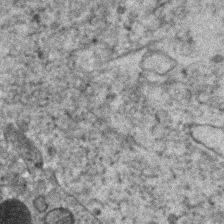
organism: Human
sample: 1205lu cells